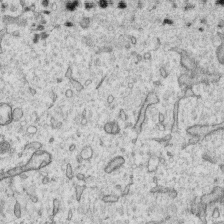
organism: Human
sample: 1205lu cells